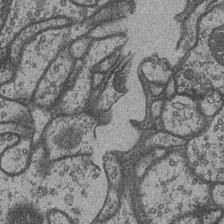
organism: Drosophila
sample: Optic medulla